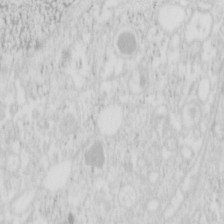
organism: Mouse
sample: Pancreas